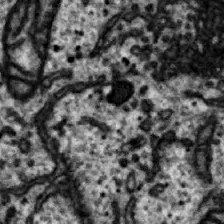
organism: Human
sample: HeLa cells